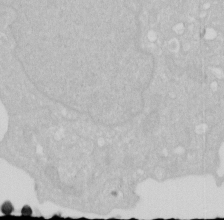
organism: Human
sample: HIV infected U937 cells